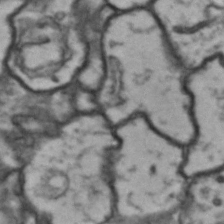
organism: Drosophila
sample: Brain